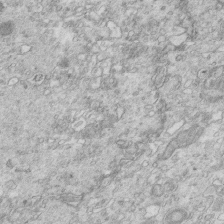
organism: Mouse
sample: Multiciliated cells